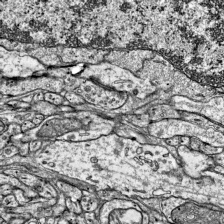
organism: Mouse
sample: Visual Cortex